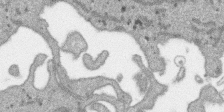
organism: Human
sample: Lung epithelial cells infected with SARS-CoV-2